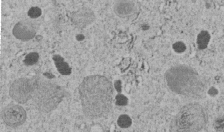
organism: C. elegans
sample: C. elegans embryo early stage